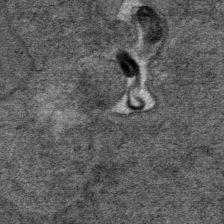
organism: Mouse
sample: Mouse Salivary gland